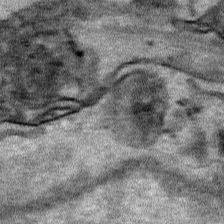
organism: Human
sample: Mitochondria in HCT116 cells